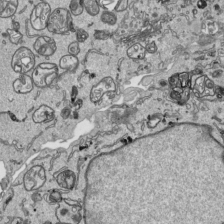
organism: Human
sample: Mitochondria in HCT116 cells